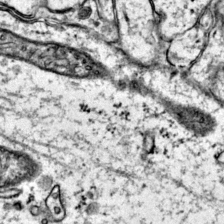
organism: Mouse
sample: Primary visual cortex